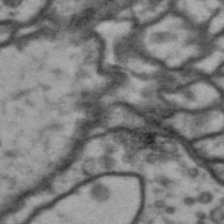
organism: Drosophila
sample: Brain